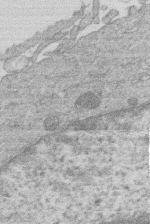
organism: Human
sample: Macrophage cells